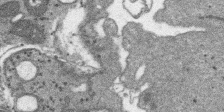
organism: Human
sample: Lung epithelial cells infected with SARS-CoV-2